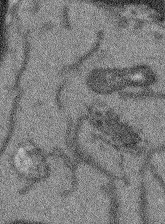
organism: Arabidopsis thaliana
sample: Root tip